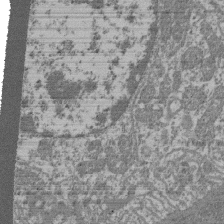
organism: Mouse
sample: Glomerulus